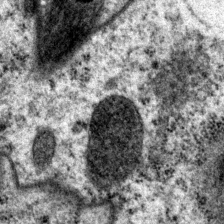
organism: P. pacificus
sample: Pharynx